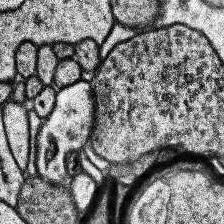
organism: Human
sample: Temporal Lobe